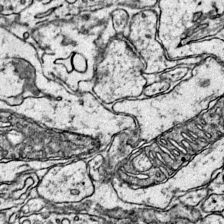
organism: Mouse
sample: Primary visual cortex